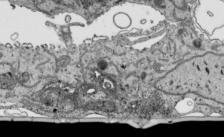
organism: Human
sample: Mitochondria in HCT116 cells